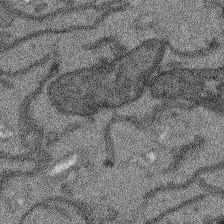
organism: Arabidopsis thaliana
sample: Root tip